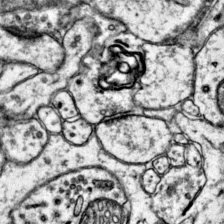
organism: Mouse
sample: Primary visual cortex